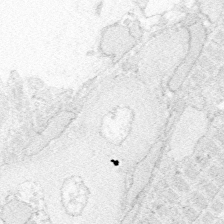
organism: Zebrafish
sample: Whole-Brain